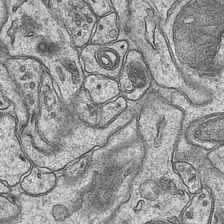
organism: Mouse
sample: CA1 Hippocampus